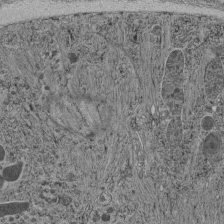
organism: C. elegans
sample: C. elegans pharynx